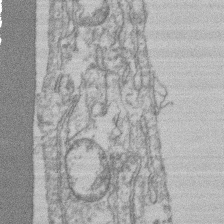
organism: Mouse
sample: T cell stromal cell synapse